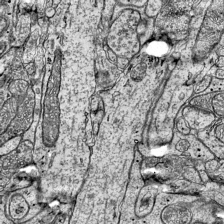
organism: Mouse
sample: Visual Cortex